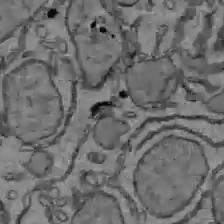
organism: C57BL Mouse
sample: Liver